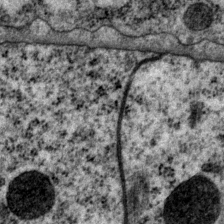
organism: P. pacificus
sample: Pharynx